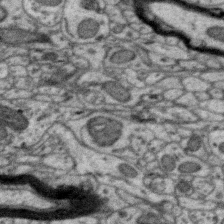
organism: Zebra finch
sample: Brain